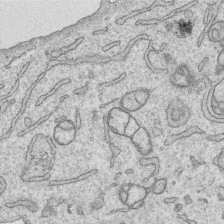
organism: Human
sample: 1205lu cells